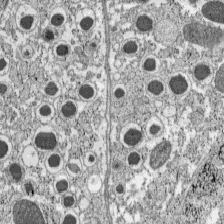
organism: C57BL Mouse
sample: Pancreatic islet